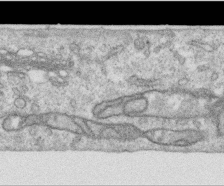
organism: Human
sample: Centriole in RPE cells